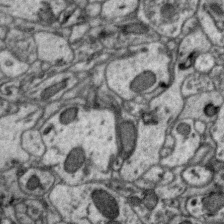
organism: Zebra finch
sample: Brain